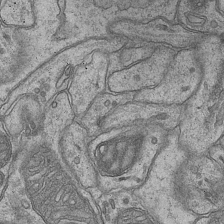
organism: Mouse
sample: CA1 Hippocampus